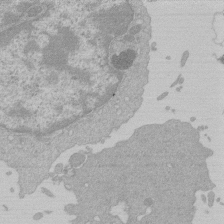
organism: Mouse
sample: Activated Pmel transgenic CD8+ T Cells